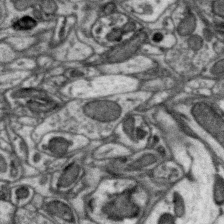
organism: Zebra finch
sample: Brain